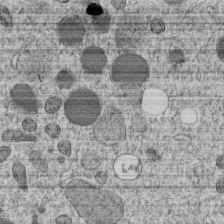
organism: C. elegans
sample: C. elegans embryo early stage